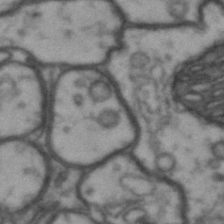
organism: Drosophila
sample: Brain